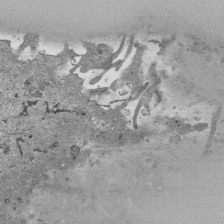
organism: Human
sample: Mitochondria in HCT116 cells